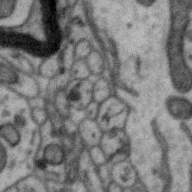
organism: Zebra finch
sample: Brain